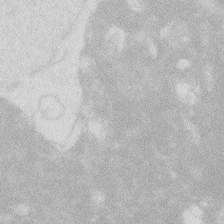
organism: Zebrafish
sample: Macrophage